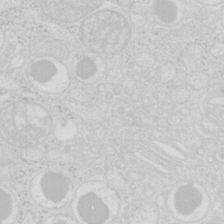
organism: Mouse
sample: Pancreas